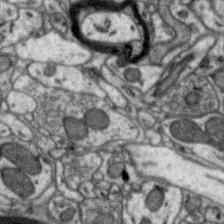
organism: Zebra finch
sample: Brain